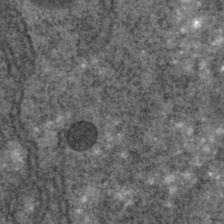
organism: C. elegans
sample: C. elegans embryo